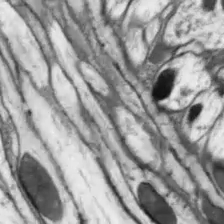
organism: Drosophila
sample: Optic lobe